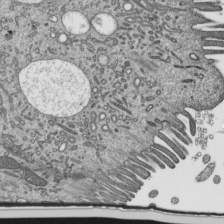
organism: Mouse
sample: Mouse epididymis efferent ductule cilia